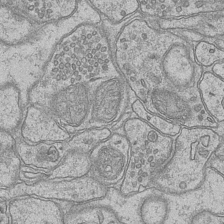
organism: Mouse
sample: CA1 Hippocampus